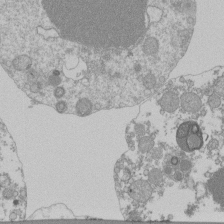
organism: Mouse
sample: Activated Pmel transgenic CD8+ T Cells